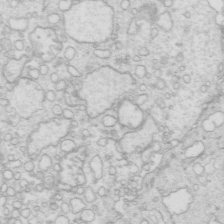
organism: Mouse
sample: Multiciliated cells